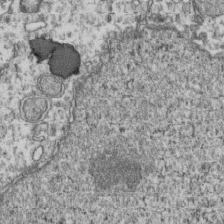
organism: Human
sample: Activated Jurkat CD4+ T cells